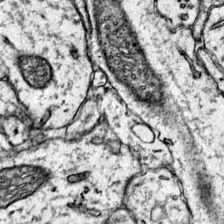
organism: Mouse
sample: Primary visual cortex